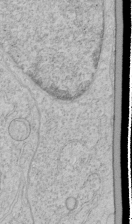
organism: Human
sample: Mitochondria in HCT116 cells